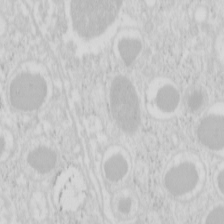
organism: Mouse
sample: Pancreas